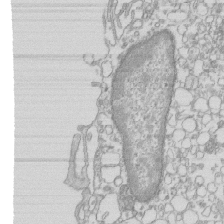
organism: Mouse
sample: Macrophages